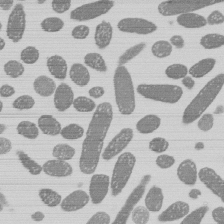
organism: E. coli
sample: Bacterial nucleoid